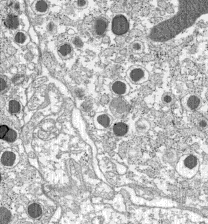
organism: C57BL Mouse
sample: Pancreatic islet